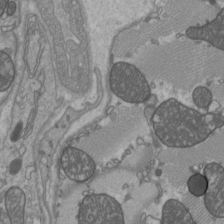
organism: C57BL Mouse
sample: Heart